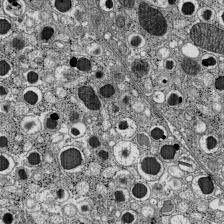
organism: C57BL Mouse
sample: Pancreatic islet